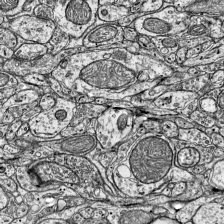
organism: Mouse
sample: Visual Cortex